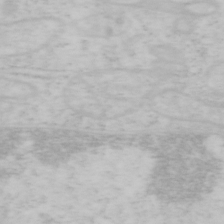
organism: Mouse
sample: OT-I killer T cells with ID8 ovarian cancer cells